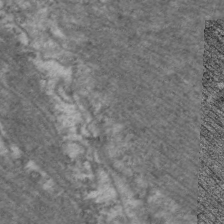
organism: C. elegans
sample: Pharynx